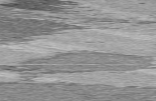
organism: C57BL Mouse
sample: Heart